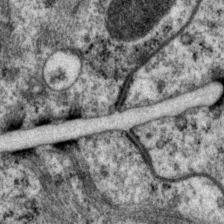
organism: P. pacificus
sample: Pharynx